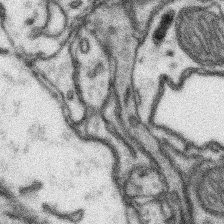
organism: Mouse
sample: Somatosensory cortex neuropil